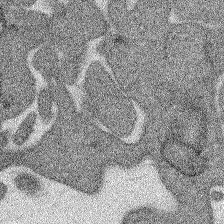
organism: Human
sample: HeLa cells